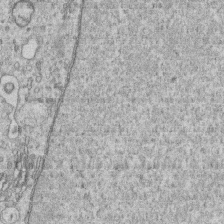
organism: Human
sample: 1205lu cells